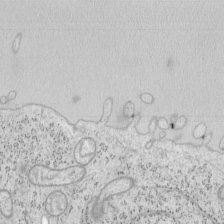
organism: Mouse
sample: OT-I killer T cells with ID8 ovarian cancer cells